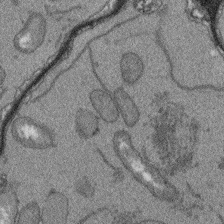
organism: Arabidopsis thaliana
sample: Root tip